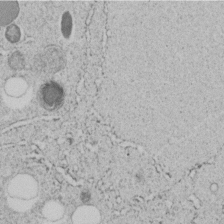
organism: C. elegans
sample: C. elegans embryo early stage